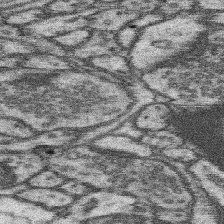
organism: Mouse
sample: Somatosensory cortex neuropil